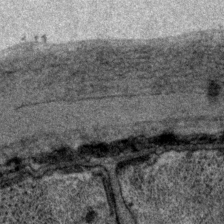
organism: P. pacificus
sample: Pharynx